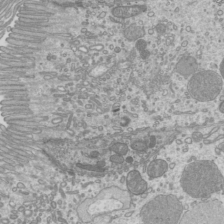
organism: Mouse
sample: Cilia; mouse epididymis